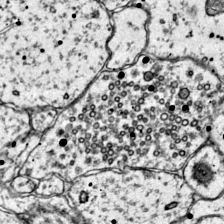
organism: Mouse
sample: Primary visual cortex